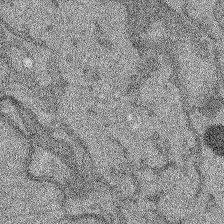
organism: Human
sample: HeLa cells